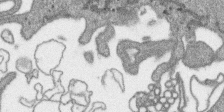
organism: Human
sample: Lung epithelial cells infected with SARS-CoV-2